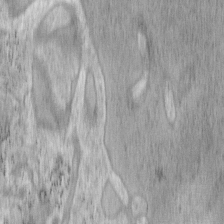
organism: Human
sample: HeLa cells